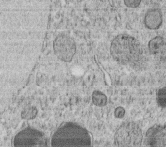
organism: C. elegans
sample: C. elegans embryo early stage